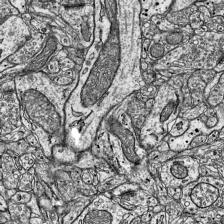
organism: Mouse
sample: Visual Cortex